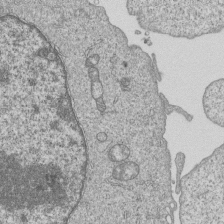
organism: Human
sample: MDA-MB-231 cells